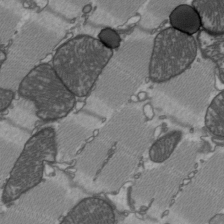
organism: C57BL Mouse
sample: Heart